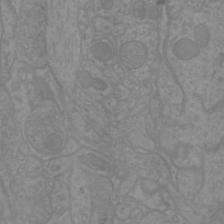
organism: Mouse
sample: Cortical neurons